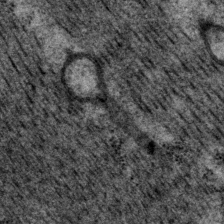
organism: P. pacificus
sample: Pharynx